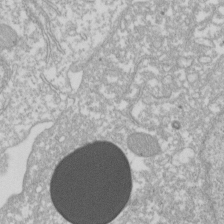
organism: Xenopus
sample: Cilia; centrioles in frog embryo cells